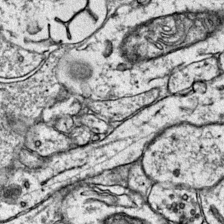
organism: Mouse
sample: Primary visual cortex